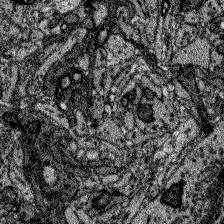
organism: Zebrafish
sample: Larval olfactory bulb